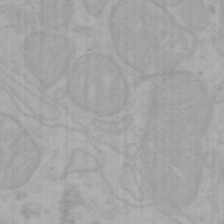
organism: Mouse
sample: Choroid plexus